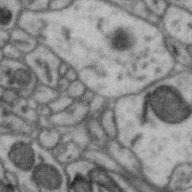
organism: Zebra finch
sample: Brain